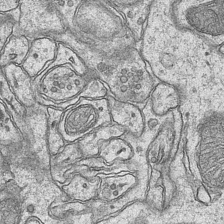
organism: Mouse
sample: CA1 Hippocampus